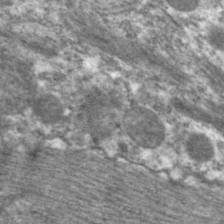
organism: C. elegans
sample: Pharynx